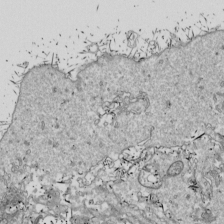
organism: Drosophila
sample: Cell division; meiosis; drosophila spermatocytes